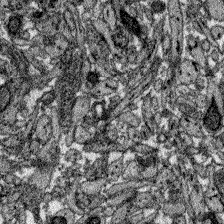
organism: Zebrafish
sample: Larval olfactory bulb